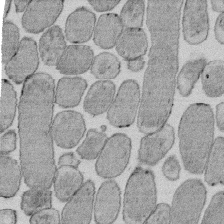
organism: E. coli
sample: Bacterial nucleoid